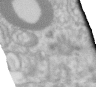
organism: Human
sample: Centriole in RPE cells